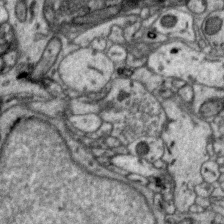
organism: Zebra finch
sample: Brain